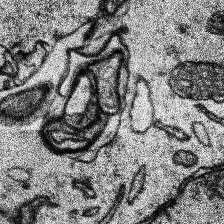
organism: Human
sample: Temporal Lobe